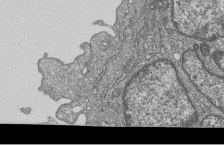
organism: Human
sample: MDA-MB-231 cells